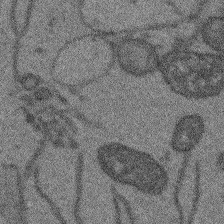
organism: Arabidopsis thaliana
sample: Root tip